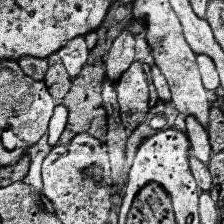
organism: Human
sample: Temporal Lobe